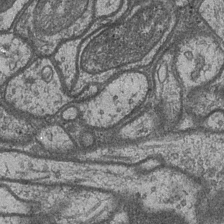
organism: Drosophila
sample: Optic medulla